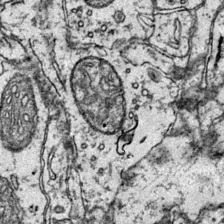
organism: Mouse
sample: Primary visual cortex